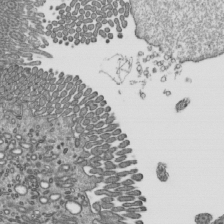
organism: Mouse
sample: Mouse epididymis efferent ductule cilia